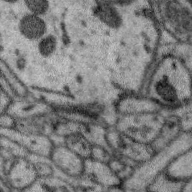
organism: Zebra finch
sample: Brain